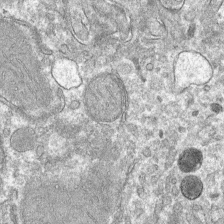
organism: Mouse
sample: Mouse hepatocytes